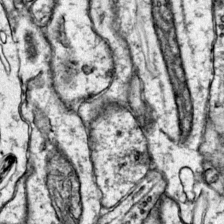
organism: Mouse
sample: Primary visual cortex